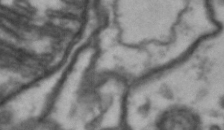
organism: Drosophila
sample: Brain